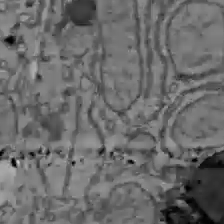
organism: C57BL Mouse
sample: Liver